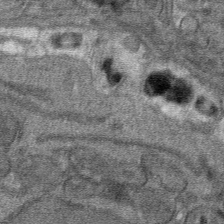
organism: Mouse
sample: Mouse hepatocytes